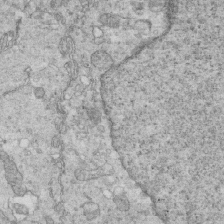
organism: Mouse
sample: Multiciliated cells